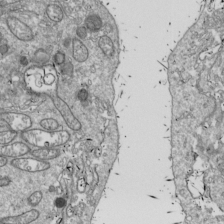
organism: Drosophila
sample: Cell division; meiosis; drosophila spermatocytes